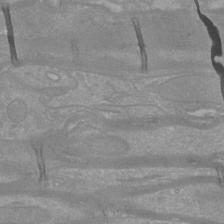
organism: Mouse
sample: Cortical neurons